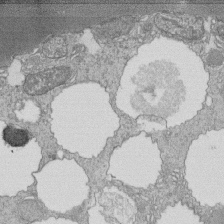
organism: Tetrahymena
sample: Cilia in tetrahymena